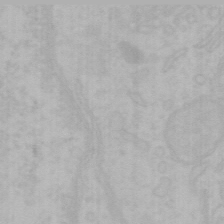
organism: Mouse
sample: Choroid plexus